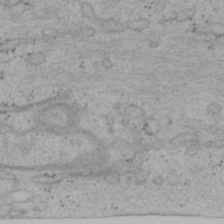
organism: Human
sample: HeLa cells